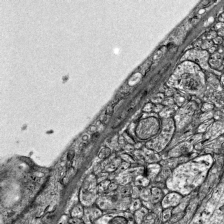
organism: Mouse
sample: Visual Cortex